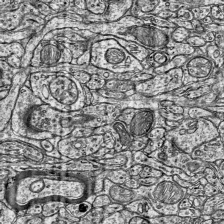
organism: Mouse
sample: Visual Cortex